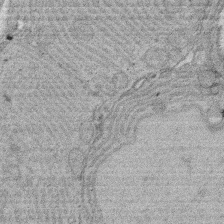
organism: Rat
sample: Salivary granule